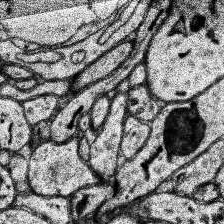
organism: Human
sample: Temporal Lobe